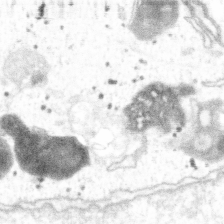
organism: Human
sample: HeLa cells